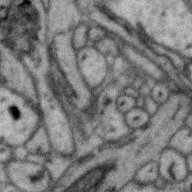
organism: Zebra finch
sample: Brain